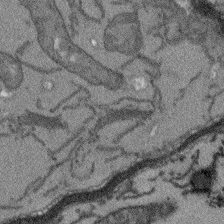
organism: Arabidopsis thaliana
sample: Root tip